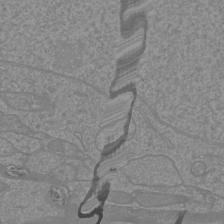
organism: Mouse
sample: Cortical neurons